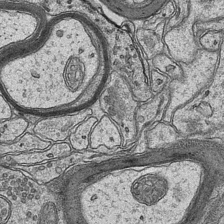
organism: Mouse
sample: CA1 Hippocampus